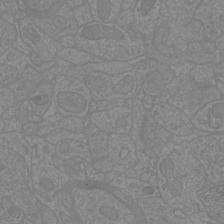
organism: Mouse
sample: Cortical neurons